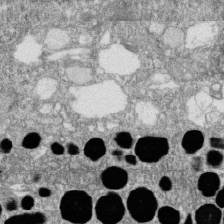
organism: Zebrafish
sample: Cilia; retinal pigment epithelium